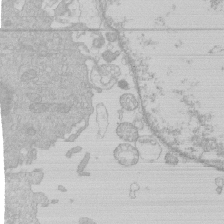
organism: Human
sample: Macrophage cells